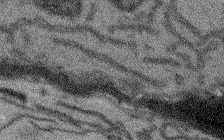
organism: Arabidopsis thaliana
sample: Root tip